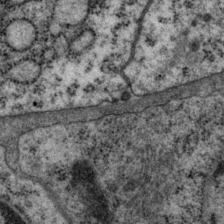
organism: P. pacificus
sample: Pharynx